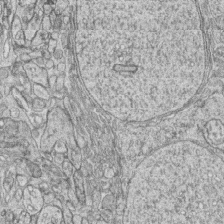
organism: Zebrafish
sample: synaptic ribbons in rod cells and cone cells